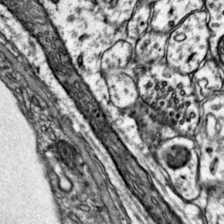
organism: Mouse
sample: Primary visual cortex